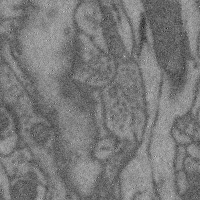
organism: Mouse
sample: Cerebral cortex